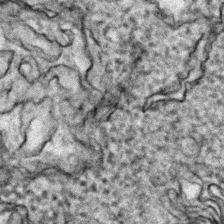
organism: Zebrafish